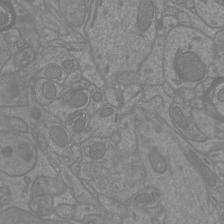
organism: Mouse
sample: Cortical neurons